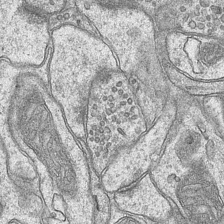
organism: Mouse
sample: CA1 Hippocampus